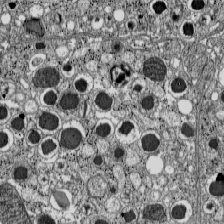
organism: C57BL Mouse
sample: Pancreatic islet